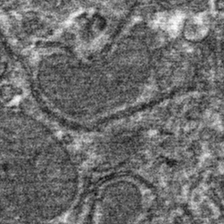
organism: Mouse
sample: Mouse hepatocytes